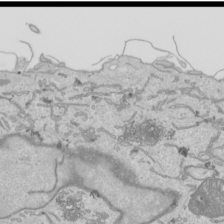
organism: Human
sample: Mitochondria in HCT116 cells